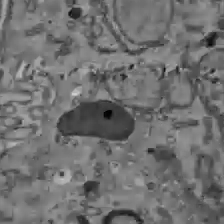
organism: C57BL Mouse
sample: Liver